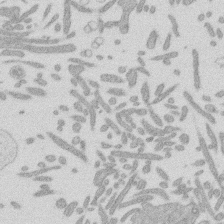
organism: Mouse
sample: Dividing mouse embryo 1 cell stage